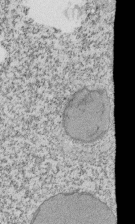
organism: Tetrahymena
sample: Cilia in tetrahymena